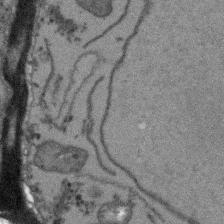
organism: Arabidopsis thaliana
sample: Root tip